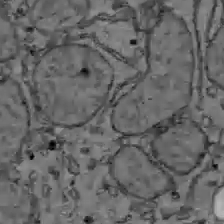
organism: C57BL Mouse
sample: Liver